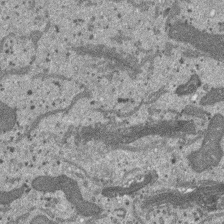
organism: Human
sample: Lung epithelial cells infected with SARS-CoV-2